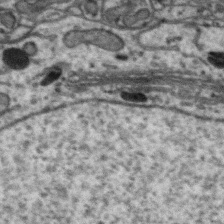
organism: Zebra finch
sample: Brain